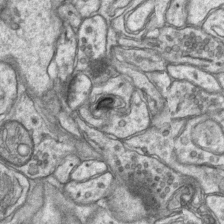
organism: Mouse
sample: CA1 Hippocampus